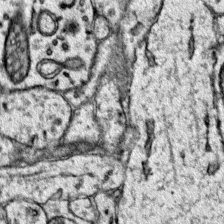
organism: Mouse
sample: Primary visual cortex